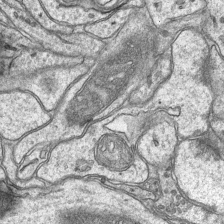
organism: Mouse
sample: CA1 Hippocampus